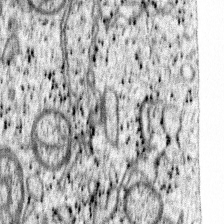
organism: Human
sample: HeLa cells